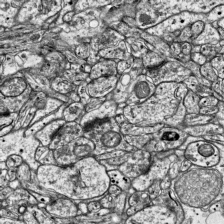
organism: Mouse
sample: Visual Cortex